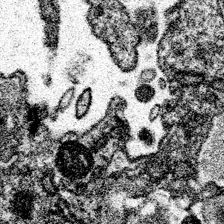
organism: Spongilla lacustris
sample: Neuroid cell